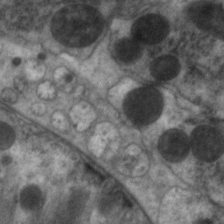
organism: C. elegans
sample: Pharynx